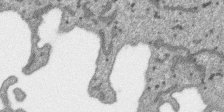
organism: Human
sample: Lung epithelial cells infected with SARS-CoV-2